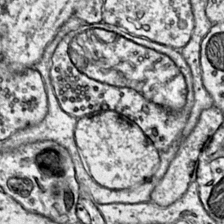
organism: Mouse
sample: Primary visual cortex